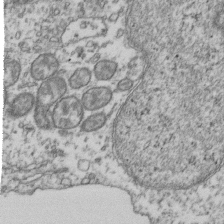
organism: Human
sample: Activated Jurkat CD4+ T cells